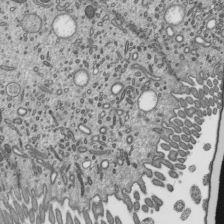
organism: Mouse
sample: Mouse epididymis efferent ductule cilia